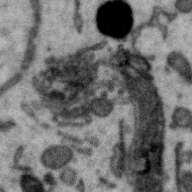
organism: Zebra finch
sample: Brain